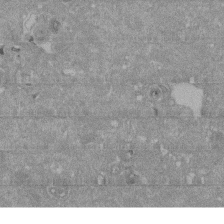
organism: Mouse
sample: ED-1 cell nuclei; centrioles